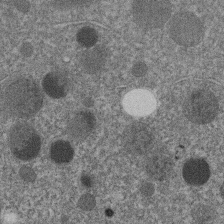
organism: C. elegans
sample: C. elegans embryo early stage